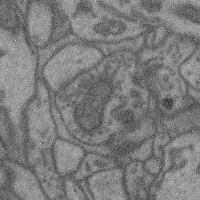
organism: Mouse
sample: Cerebral cortex